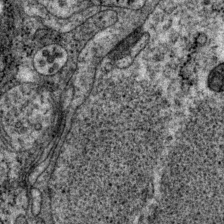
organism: P. pacificus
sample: Pharynx